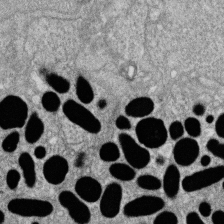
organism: Zebrafish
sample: Cilia; retinal pigment epithelium